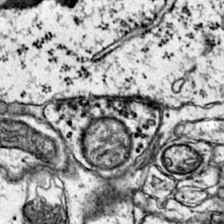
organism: Mouse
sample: Primary visual cortex